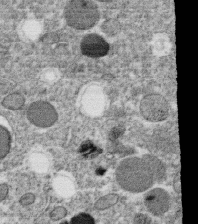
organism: C. elegans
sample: C. elegans oocyte; sperm cells